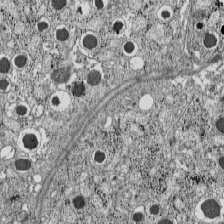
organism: C57BL Mouse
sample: Pancreatic islet